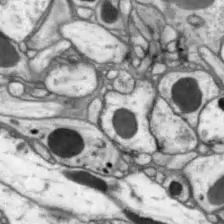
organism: Drosophila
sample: Optic lobe